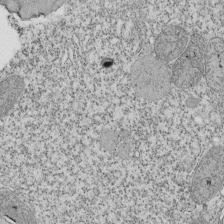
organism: Tetrahymena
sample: Cilia in tetrahymena